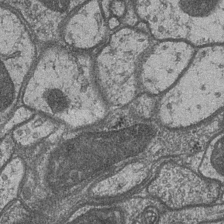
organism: Drosophila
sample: Optic medulla